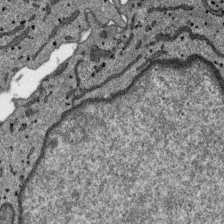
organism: Human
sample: Lung epithelial cells, uninfected (mock) control